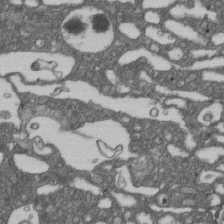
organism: Drosophila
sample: Nephrocyte